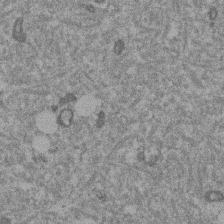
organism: Mouse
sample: Dividing mouse embryo 1 cell stage